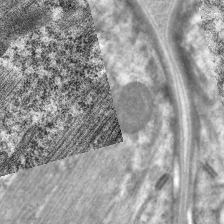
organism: C. elegans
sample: Pharynx